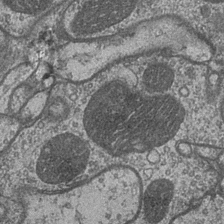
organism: Drosophila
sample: Optic medulla